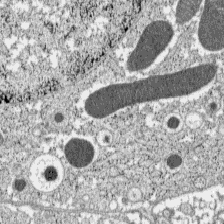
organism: C57BL Mouse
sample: Pancreatic islet